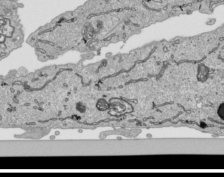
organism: Human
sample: Mitochondria in HCT116 cells